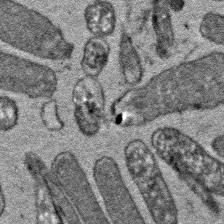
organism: E. coli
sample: E. Coli Bacteria